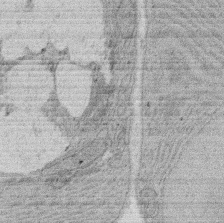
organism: Rat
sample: Salivary granule